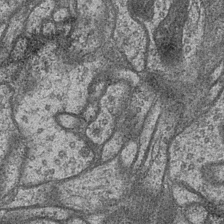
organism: Drosophila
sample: Optic medulla